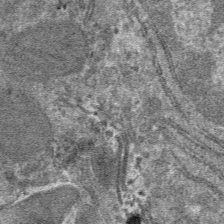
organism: Mouse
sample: Mouse hepatocytes